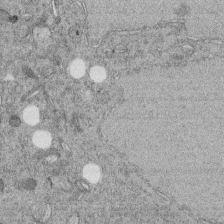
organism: C. elegans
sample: C. elegans embryo early stage